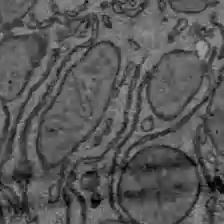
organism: C57BL Mouse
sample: Liver